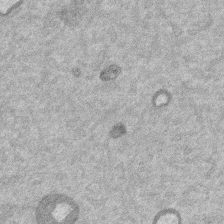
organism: Mouse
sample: Dividing mouse embryo 1 cell stage